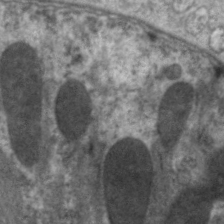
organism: C. elegans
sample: Pharynx